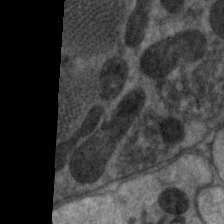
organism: C. elegans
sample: Pharynx